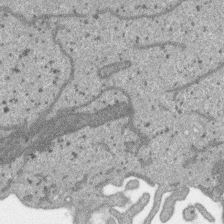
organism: Human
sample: Lung epithelial cells infected with SARS-CoV-2